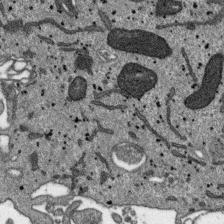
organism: Human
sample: Lung epithelial cells, uninfected (mock) control